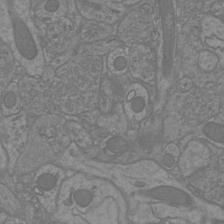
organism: Mouse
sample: Cortical neurons